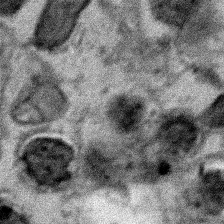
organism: Human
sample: Mitochondria in HCT116 cells